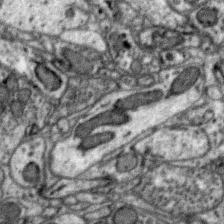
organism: Zebra finch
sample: Brain